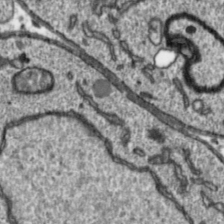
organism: Toxoplasma gondii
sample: Parasites in a vacuole inside a host cell